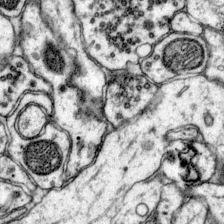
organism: Mouse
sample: Primary visual cortex